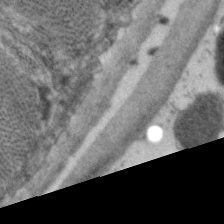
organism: C. elegans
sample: Pharynx